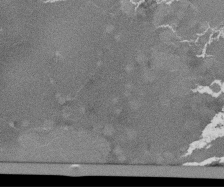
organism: Tetrahymena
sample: Cilia in tetrahymena